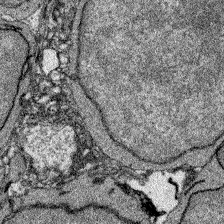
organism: Zebrafish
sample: Larval olfactory bulb